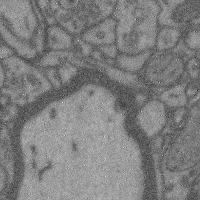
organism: Mouse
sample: Cerebral cortex